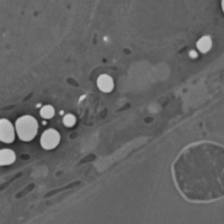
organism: C. elegans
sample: C. elegans embryo